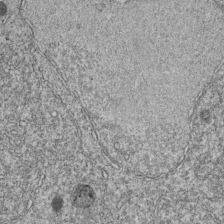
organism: C. elegans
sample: C. elegans embryo early stage